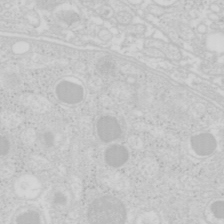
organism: Mouse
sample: Pancreas